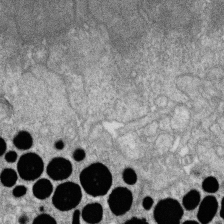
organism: Zebrafish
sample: Cilia; retinal pigment epithelium